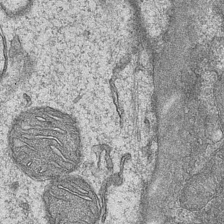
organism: Mouse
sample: CA1 Hippocampus